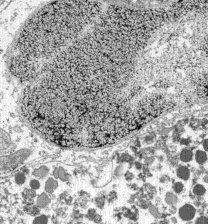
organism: C57BL Mouse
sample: Pancreatic islet